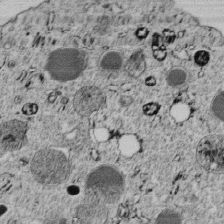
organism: C. elegans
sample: C. elegans embryo early stage